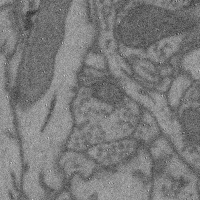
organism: Mouse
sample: Cerebral cortex